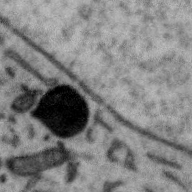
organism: Zebra finch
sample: Brain